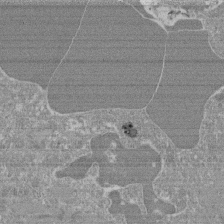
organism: Mouse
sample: Glomerulus